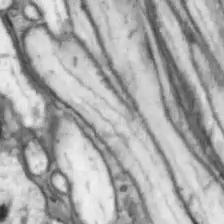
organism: Drosophila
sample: Optic lobe